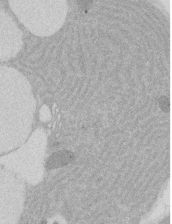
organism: Rat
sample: Salivary granule